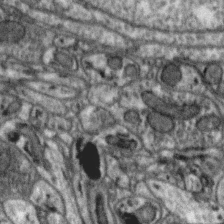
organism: Zebra finch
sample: Brain